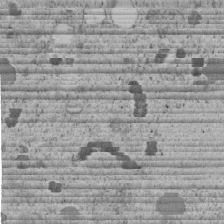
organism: C. elegans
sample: C. elegans embryo early stage